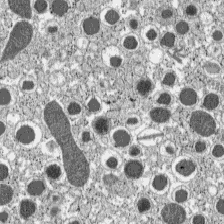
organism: C57BL Mouse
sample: Pancreatic islet